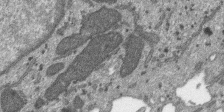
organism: Human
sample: Lung epithelial cells infected with SARS-CoV-2